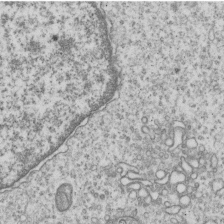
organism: Human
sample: MDA-MB-231 cells